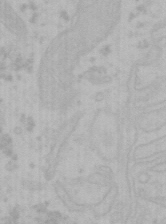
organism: Mouse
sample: Choroid plexus